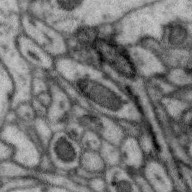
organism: Zebra finch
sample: Brain